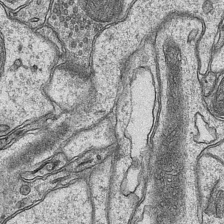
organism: Mouse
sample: CA1 Hippocampus